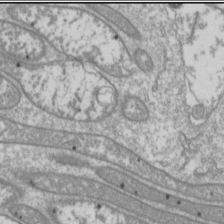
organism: Drosophila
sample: Cell division; meiosis; drosophila spermatocytes